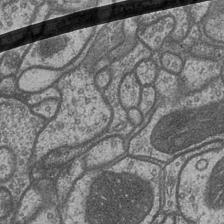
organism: Drosophila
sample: Optic medulla